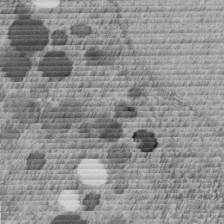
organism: C. elegans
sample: C. elegans embryo early stage